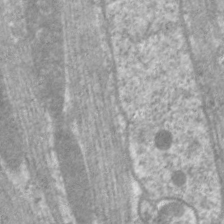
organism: C. elegans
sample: Pharynx